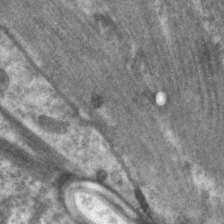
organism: C. elegans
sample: Pharynx